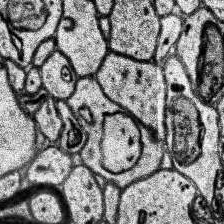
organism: Human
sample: Temporal Lobe